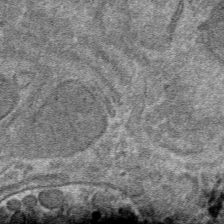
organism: Mouse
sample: Mouse hepatocytes